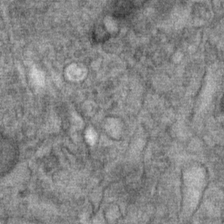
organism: Mouse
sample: Mouse Salivary gland